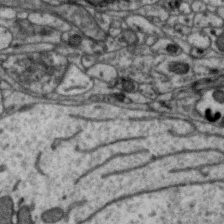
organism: Zebra finch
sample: Brain